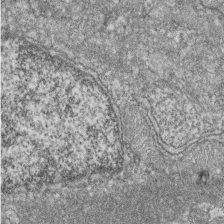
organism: Zebrafish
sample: Cilia; retinal pigment epithelium